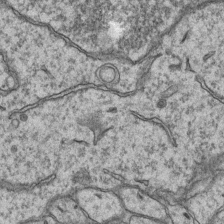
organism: Mouse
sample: CA1 Hippocampus